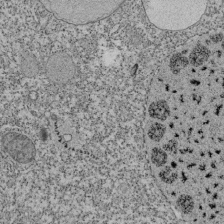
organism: Tetrahymena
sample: Cilia in tetrahymena